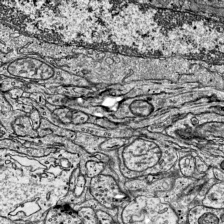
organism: Mouse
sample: Visual Cortex